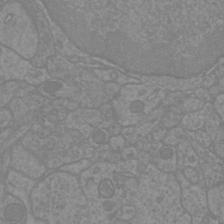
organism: Mouse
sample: Cortical neurons